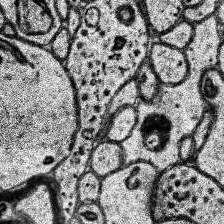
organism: Human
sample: Temporal Lobe